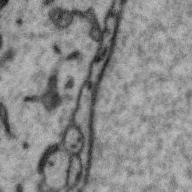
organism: Zebra finch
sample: Brain